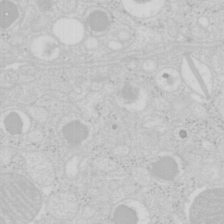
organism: Mouse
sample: Pancreas